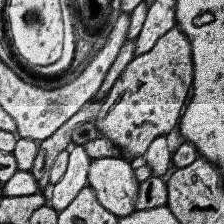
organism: Human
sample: Temporal Lobe